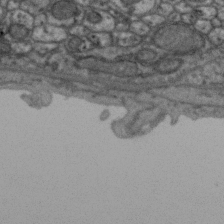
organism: Zebra finch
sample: Brain